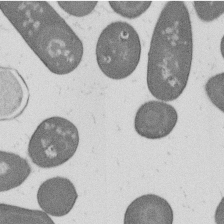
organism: B. subtilis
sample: Bacterial spore